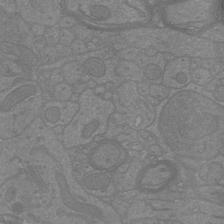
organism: Mouse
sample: Cortical neurons